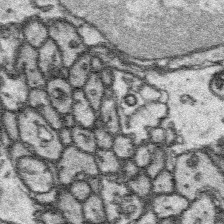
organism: Platynereis dumerilii